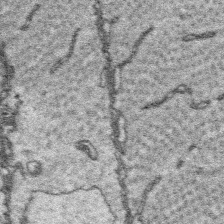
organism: Platynereis dumerilii